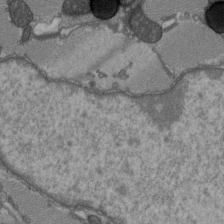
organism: C57BL Mouse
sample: Heart